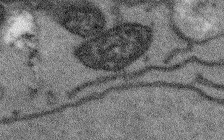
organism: Arabidopsis thaliana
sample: Root tip